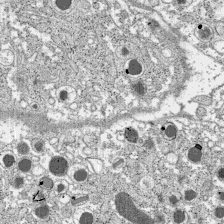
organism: C57BL Mouse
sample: Pancreatic islet